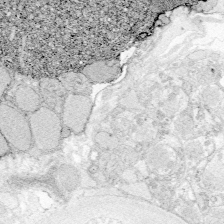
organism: Zebrafish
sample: Whole-Brain